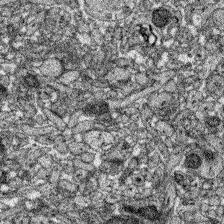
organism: Zebrafish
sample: Larval olfactory bulb